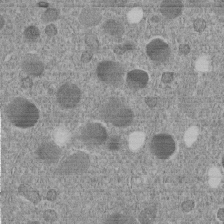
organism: C. elegans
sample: C. elegans embryo early stage